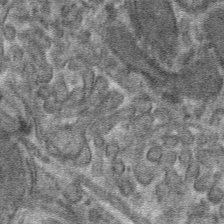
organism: Mouse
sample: Mouse hepatocytes